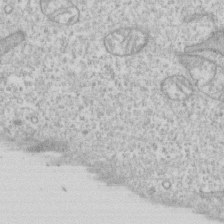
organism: Human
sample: CRL-1474